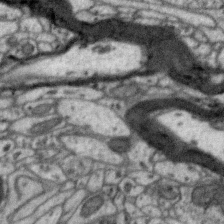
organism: Zebra finch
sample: Brain